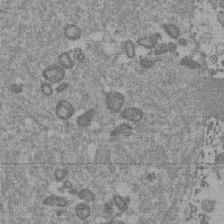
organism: Mouse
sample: Dividing mouse embryo 1 cell stage